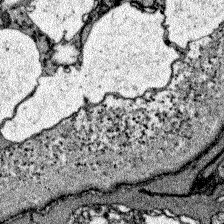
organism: Zebrafish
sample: Larval olfactory bulb